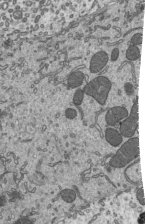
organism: Mouse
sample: Mouse epididymis efferent ductule cilia